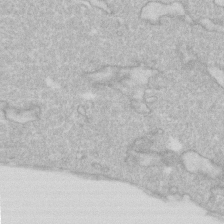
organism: Human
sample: Fibroblast cells